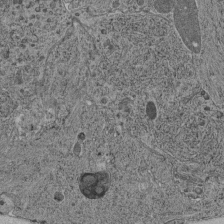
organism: C. elegans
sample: C. elegans pharynx